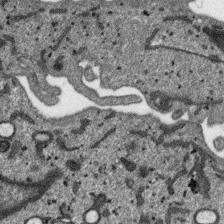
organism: Human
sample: Lung epithelial cells infected with SARS-CoV-2